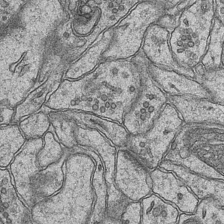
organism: Mouse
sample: CA1 Hippocampus